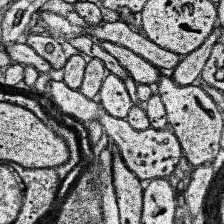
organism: Human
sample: Temporal Lobe